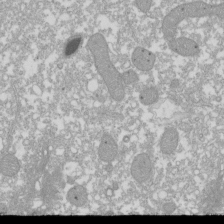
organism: Xenopus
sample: Cilia; centrioles in frog embryo cells